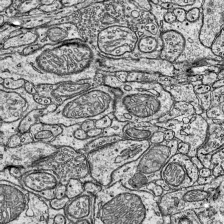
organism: Mouse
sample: Visual Cortex